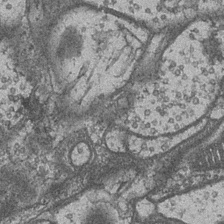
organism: Drosophila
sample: Optic medulla